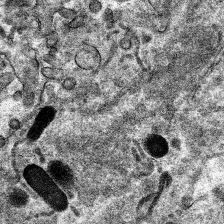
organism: Mouse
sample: Mouse hepatocytes